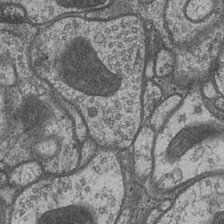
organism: Drosophila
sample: Optic medulla